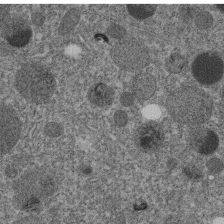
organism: C. elegans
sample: C. elegans embryo early stage